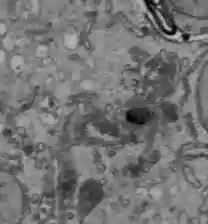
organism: C57BL Mouse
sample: Liver